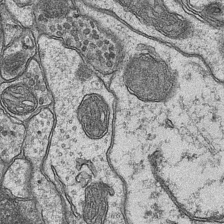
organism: Mouse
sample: CA1 Hippocampus